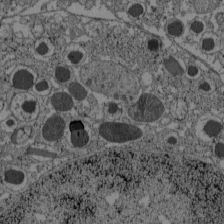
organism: C57BL Mouse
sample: Pancreatic islet